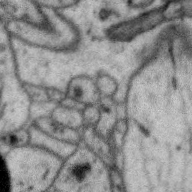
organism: Zebra finch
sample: Brain